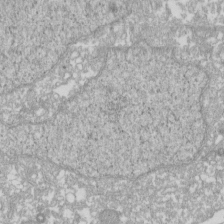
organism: Xenopus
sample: Cilia; centrioles in frog embryo cells